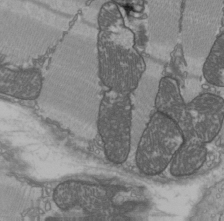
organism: C57BL Mouse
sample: Heart